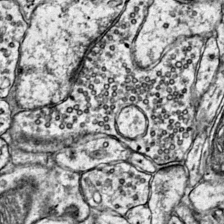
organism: Mouse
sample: Primary visual cortex